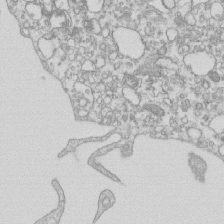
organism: Mouse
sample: Macrophages